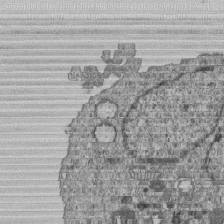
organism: Human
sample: MDA-MB-231 cells